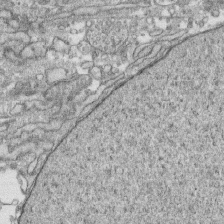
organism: Human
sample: CRL-1474